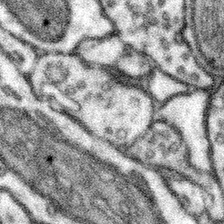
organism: Mouse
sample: Somatosensory cortex neuropil